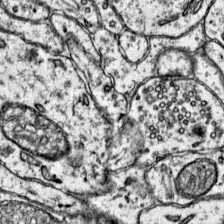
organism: Mouse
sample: Primary visual cortex